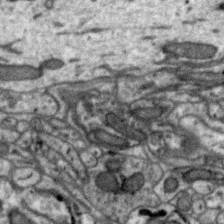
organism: Zebra finch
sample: Brain